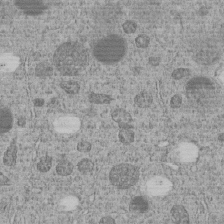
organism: C. elegans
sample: C. elegans embryo early stage